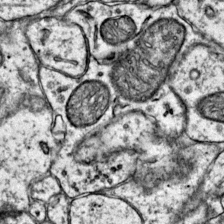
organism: Mouse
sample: Primary visual cortex